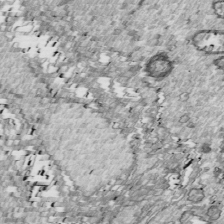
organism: Drosophila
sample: Cell division; meiosis; drosophila spermatocytes